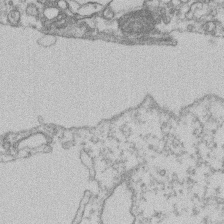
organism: Mouse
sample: T cell stromal cell synapse